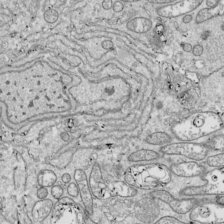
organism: Drosophila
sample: Cell division; meiosis; drosophila spermatocytes